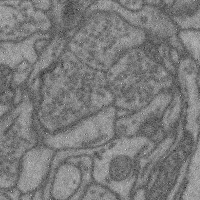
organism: Mouse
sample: Cerebral cortex